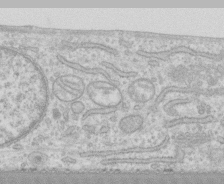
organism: Human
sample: CRL-1474